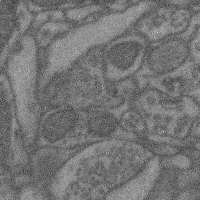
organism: Mouse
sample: Cerebral cortex